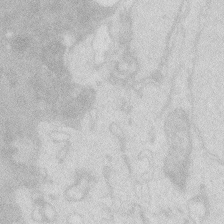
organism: Zebrafish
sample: Macrophage